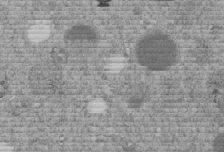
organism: C. elegans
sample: C. elegans embryo early stage